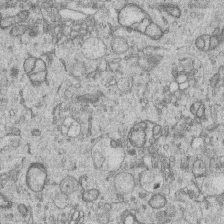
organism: Human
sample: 1205lu cells